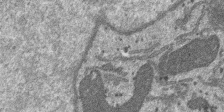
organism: Human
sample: Lung epithelial cells infected with SARS-CoV-2